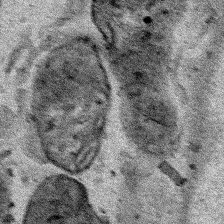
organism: Human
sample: Mitochondria in HCT116 cells